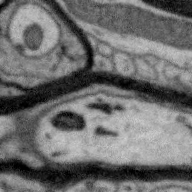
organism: Zebra finch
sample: Brain